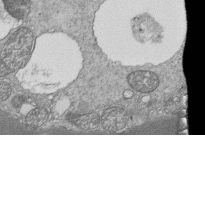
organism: Tetrahymena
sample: Cilia in tetrahymena